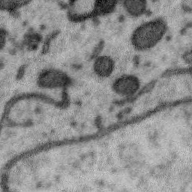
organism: Zebra finch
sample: Brain